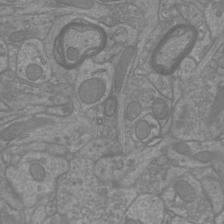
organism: Mouse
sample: Cortical neurons